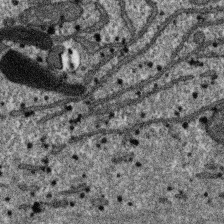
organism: Human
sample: Lung epithelial cells infected with SARS-CoV-2